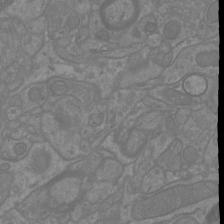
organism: Mouse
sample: Cortical neurons